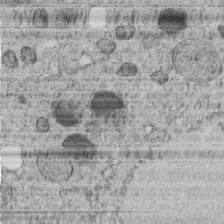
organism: C. elegans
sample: C. elegans embryo early stage